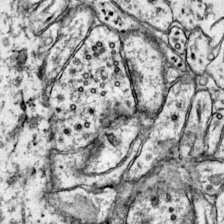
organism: Mouse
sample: Primary visual cortex